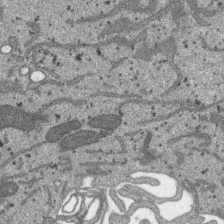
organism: Human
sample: Lung epithelial cells infected with SARS-CoV-2